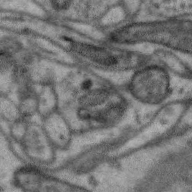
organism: Zebra finch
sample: Brain